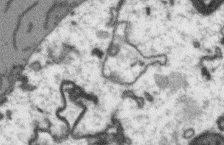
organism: Arabidopsis thaliana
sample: Root tip